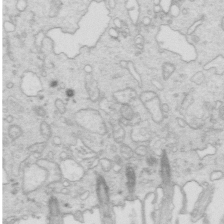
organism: Mouse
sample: Multiciliated cells